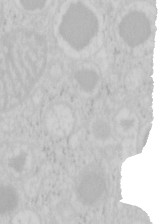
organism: Mouse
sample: Pancreas